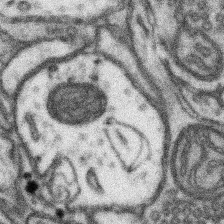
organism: Mouse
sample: Somatosensory cortex neuropil